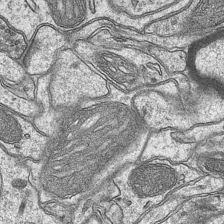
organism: Mouse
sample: CA1 Hippocampus